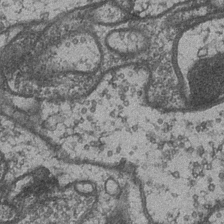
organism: Drosophila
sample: Optic medulla